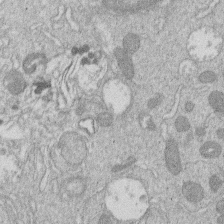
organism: Human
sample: Macrophage cells